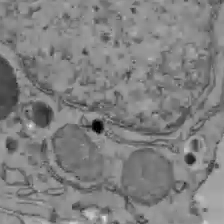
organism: C57BL Mouse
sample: Liver